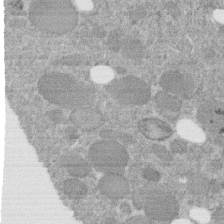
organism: C. elegans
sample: C. elegans embryo early stage